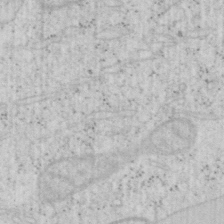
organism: Human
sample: HeLa cells